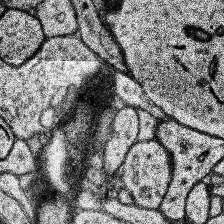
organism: Human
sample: Temporal Lobe